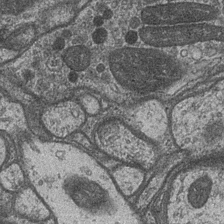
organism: Drosophila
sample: Optic medulla